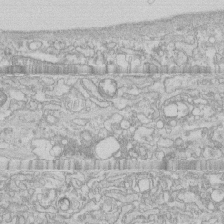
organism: Human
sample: CRL-1474